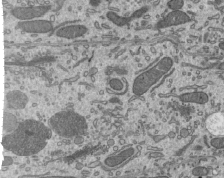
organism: Mouse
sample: Mouse epididymis efferent ductule cilia